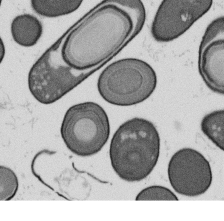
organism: B. subtilis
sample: Bacterial spore